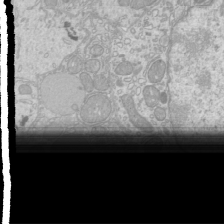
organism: Mouse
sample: Cilia; mouse epididymis